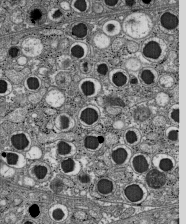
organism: C57BL Mouse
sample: Pancreatic islet